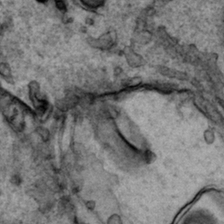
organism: Human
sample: Mitochondria in HCT116 cells